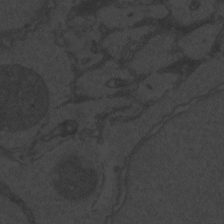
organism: Zebrafish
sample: Macrophage infected with Toxoplasma gondii